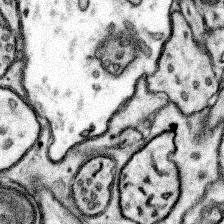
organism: Mouse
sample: Somatosensory cortex neuropil